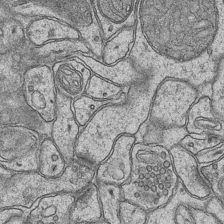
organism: Mouse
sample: CA1 Hippocampus